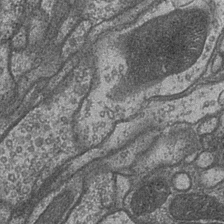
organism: Drosophila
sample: Optic medulla